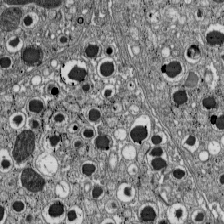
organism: C57BL Mouse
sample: Pancreatic islet